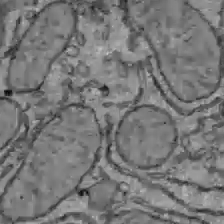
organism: C57BL Mouse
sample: Liver